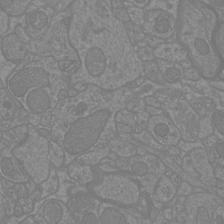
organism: Mouse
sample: Cortical neurons